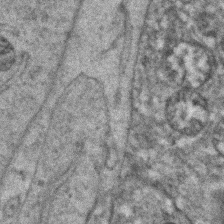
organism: Zebrafish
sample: Zebrafish embryo